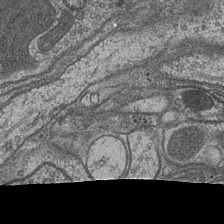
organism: Drosophila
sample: Optic medulla